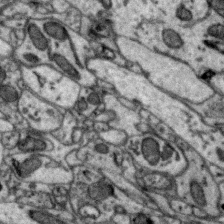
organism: Zebra finch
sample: Brain